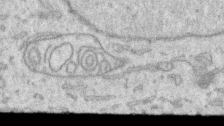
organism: Human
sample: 1205lu cells